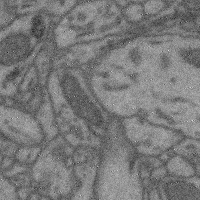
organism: Mouse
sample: Cerebral cortex